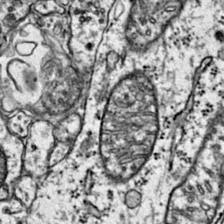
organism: Mouse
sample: Primary visual cortex